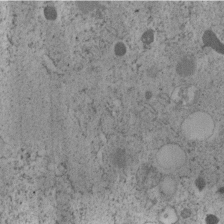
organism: C. elegans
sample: C. elegans embryo early stage